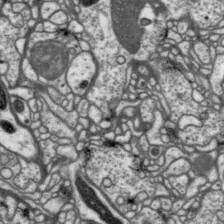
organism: Drosophila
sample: Protocerebral bridge